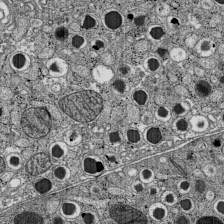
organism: C57BL Mouse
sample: Pancreatic islet